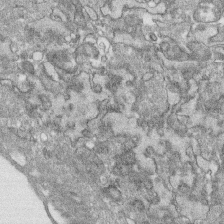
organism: Human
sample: CRL-1474